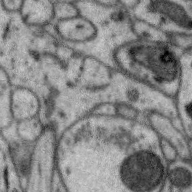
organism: Zebra finch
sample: Brain